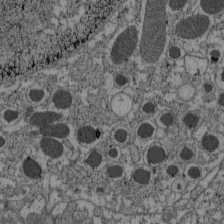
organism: C57BL Mouse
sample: Pancreatic islet